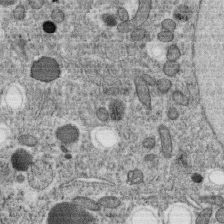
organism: C. elegans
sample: C. elegans oocyte; sperm cells